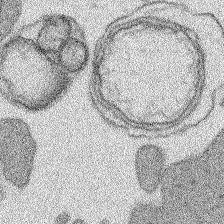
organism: Human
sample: HeLa cells